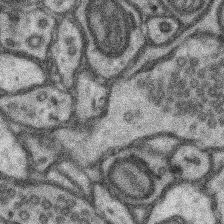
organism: Mouse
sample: Somatosensory cortex neuropil